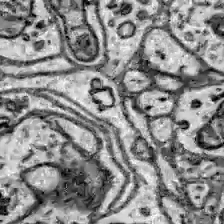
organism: Zebrafish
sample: Brain